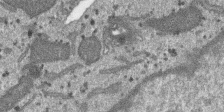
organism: Human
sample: Lung epithelial cells infected with SARS-CoV-2